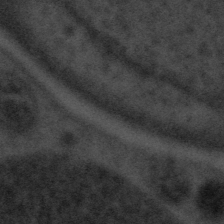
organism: Tuwongella immobilis